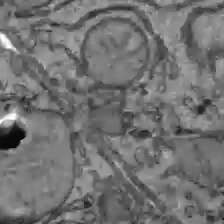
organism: C57BL Mouse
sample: Liver